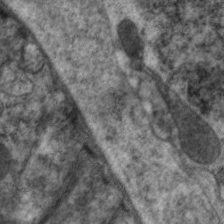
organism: C. elegans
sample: Pharynx